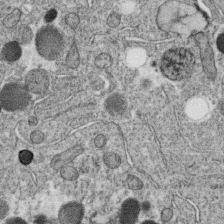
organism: C. elegans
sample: C. elegans oocyte; sperm cells